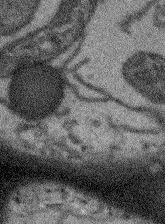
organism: Arabidopsis thaliana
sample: Root tip